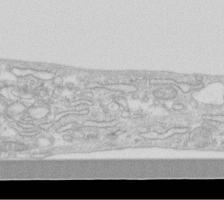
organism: Human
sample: Fibroblast cells